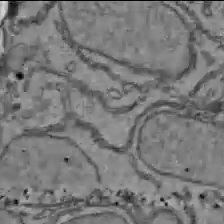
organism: C57BL Mouse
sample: Liver